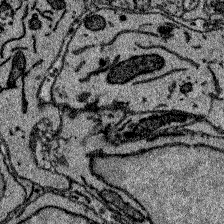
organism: Zebrafish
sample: Larval olfactory bulb